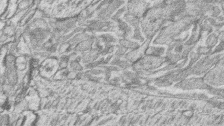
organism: Zebrafish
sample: synaptic ribbons in rod cells and cone cells